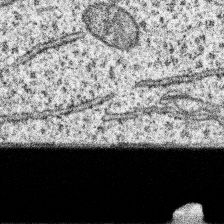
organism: Human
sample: HeLa cells